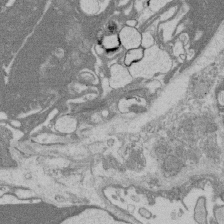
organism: Rat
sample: Salivary granule